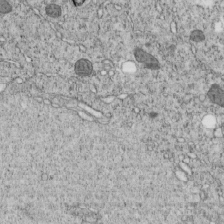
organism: C. elegans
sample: C. elegans embryo early stage